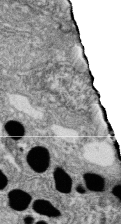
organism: Zebrafish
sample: Cilia; retinal pigment epithelium